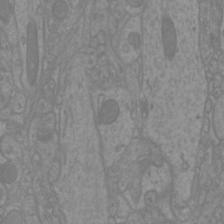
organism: Mouse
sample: Cortical neurons